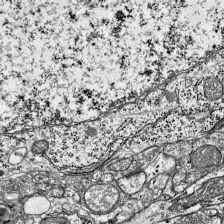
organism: Mouse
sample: Visual Cortex